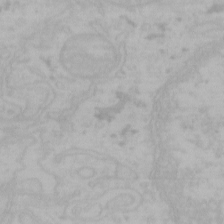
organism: Mouse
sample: Choroid plexus